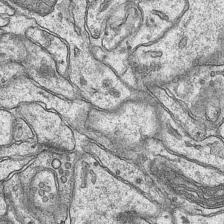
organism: Mouse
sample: CA1 Hippocampus